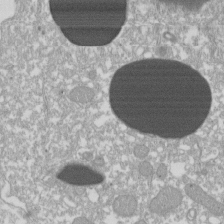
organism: Xenopus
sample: Cilia; centrioles in frog embryo cells